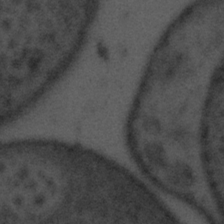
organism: Tuwongella immobilis